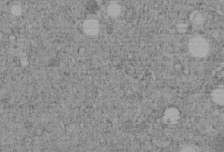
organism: C. elegans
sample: C. elegans embryo early stage